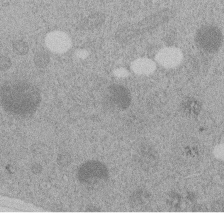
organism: C. elegans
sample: C. elegans embryo early stage